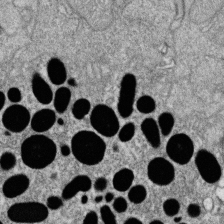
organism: Zebrafish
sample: Cilia; retinal pigment epithelium